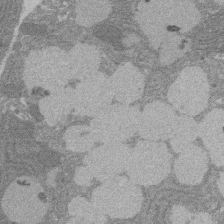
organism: Rat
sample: Salivary granule